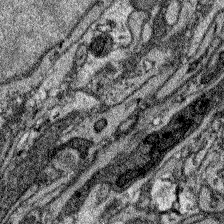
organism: Zebrafish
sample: Larval olfactory bulb